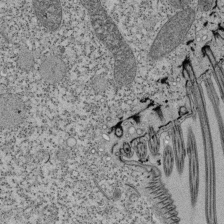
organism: Tetrahymena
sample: Cilia in tetrahymena